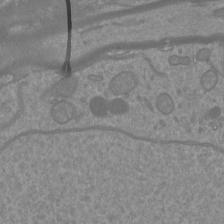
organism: Mouse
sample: Cortical neurons